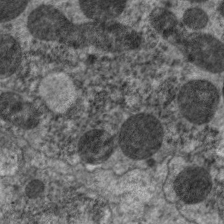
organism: C. elegans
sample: Pharynx